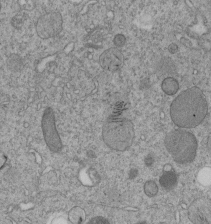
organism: C. elegans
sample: C. elegans embryo early stage